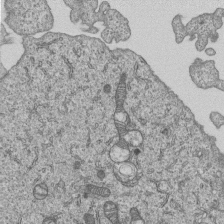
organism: Human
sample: MDA-MB-231 cells